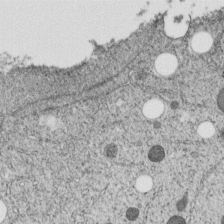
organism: C. elegans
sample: C. elegans embryo early stage